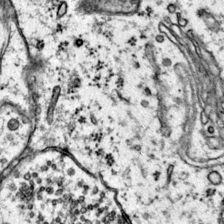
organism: Mouse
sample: Primary visual cortex